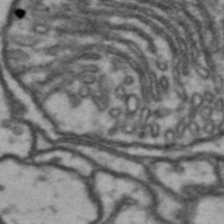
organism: Drosophila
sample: Brain